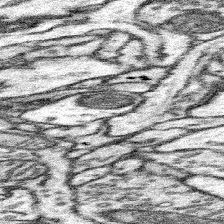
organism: Mouse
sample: Somatosensory cortex neuropil